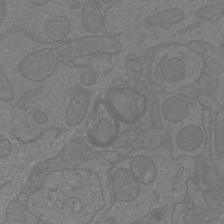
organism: Mouse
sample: Cortical neurons